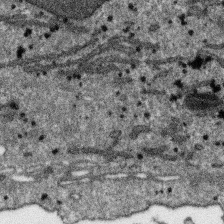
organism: Human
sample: Lung epithelial cells infected with SARS-CoV-2